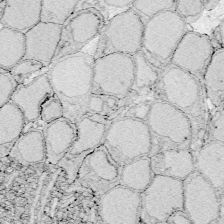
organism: Zebrafish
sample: Whole-Brain